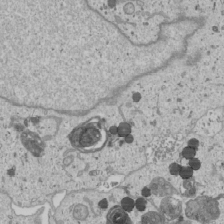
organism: Human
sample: Mitochondria in U2OS cells